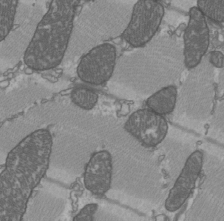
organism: C57BL Mouse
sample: Heart